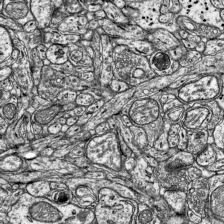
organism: Mouse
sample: Visual Cortex